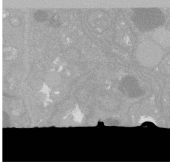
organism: C. elegans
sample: C. elegans oocyte; sperm cells